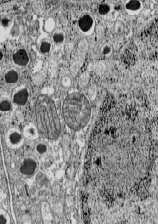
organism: C57BL Mouse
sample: Pancreatic islet